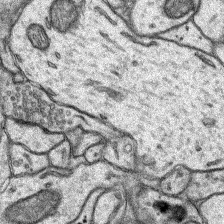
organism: Rat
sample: Hippocampus